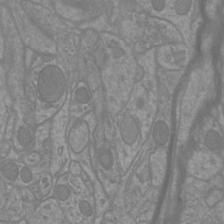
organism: Mouse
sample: Cortical neurons